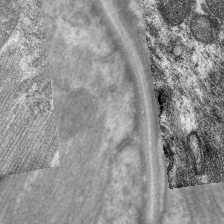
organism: C. elegans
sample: Pharynx